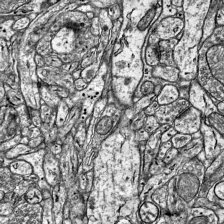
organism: Mouse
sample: Visual Cortex